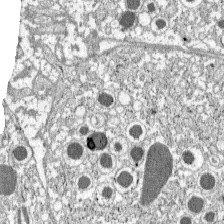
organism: C57BL Mouse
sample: Pancreatic islet